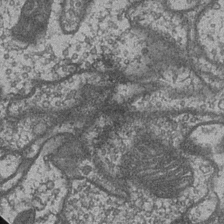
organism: Drosophila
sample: Optic medulla